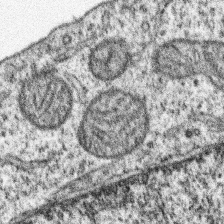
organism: Human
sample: HeLa cells